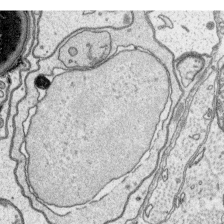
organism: Platynereis dumerilii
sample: Parapodia